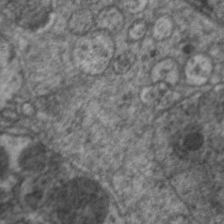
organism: C. elegans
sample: Pharynx